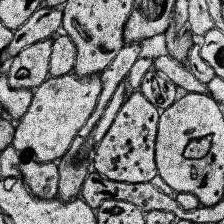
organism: Human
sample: Temporal Lobe